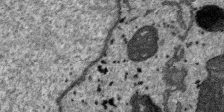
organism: Human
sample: Lung epithelial cells, uninfected (mock) control